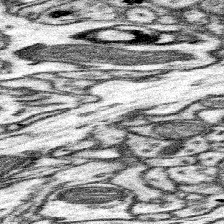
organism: Mouse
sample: Somatosensory cortex neuropil